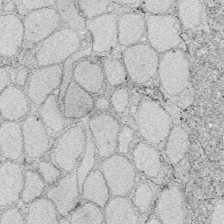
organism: Zebrafish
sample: Whole-Brain